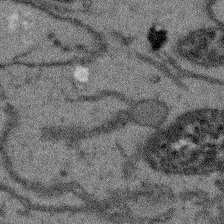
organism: Arabidopsis thaliana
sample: Root tip